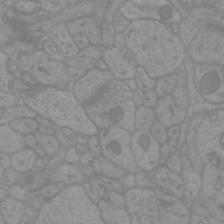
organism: Mouse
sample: Cortical neurons